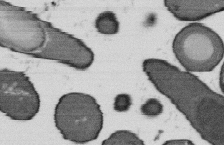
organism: B. subtilis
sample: Bacterial spore